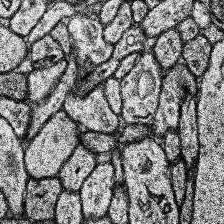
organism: Human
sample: Temporal Lobe